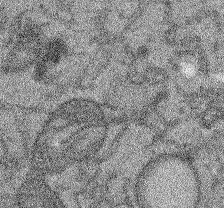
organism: Human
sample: HeLa cells